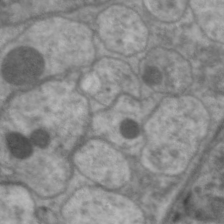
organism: C. elegans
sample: Pharynx